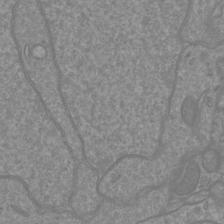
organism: Mouse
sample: Cortical neurons